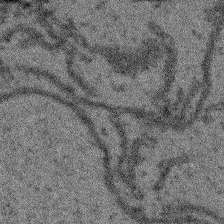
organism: Arabidopsis thaliana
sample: Root tip